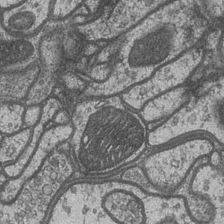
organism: Drosophila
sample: Optic medulla